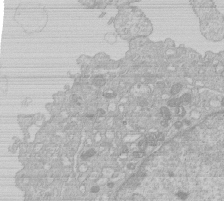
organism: Human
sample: Macrophage cells